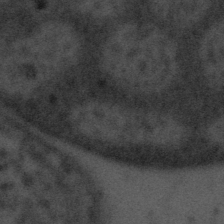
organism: Tuwongella immobilis